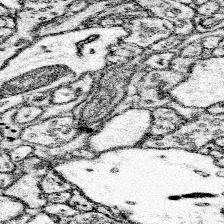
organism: Mouse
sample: Somatosensory cortex neuropil